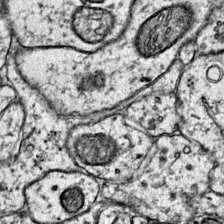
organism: Mouse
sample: Primary visual cortex